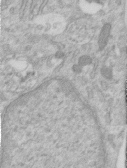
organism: Human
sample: Centriole in RPE cells